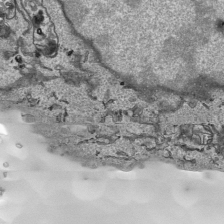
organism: Human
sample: Mitochondria in HCT116 cells